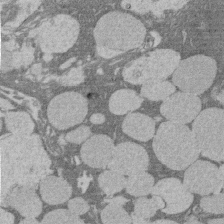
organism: Rat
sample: Salivary granule